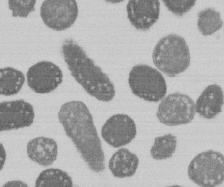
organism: E. coli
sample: Bacterial nucleoid